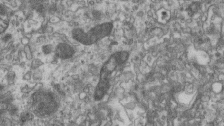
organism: Mouse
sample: Centriole in ependymal cells